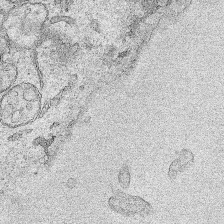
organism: Human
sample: Mitochondria in HCT116 cells